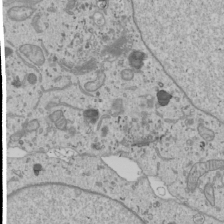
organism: Human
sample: Mitochondria in U2OS cells